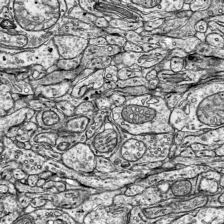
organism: Mouse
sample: Visual Cortex